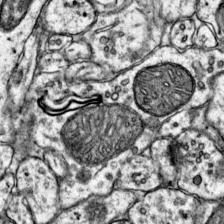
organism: Mouse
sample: Primary visual cortex